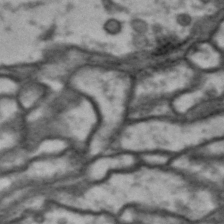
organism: Drosophila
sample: Brain